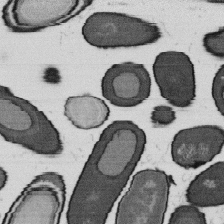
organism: B. subtilis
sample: Bacterial spore